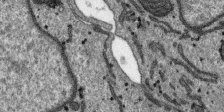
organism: Human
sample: Lung epithelial cells, uninfected (mock) control